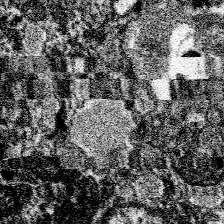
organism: Spongilla lacustris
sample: Neuroid cell